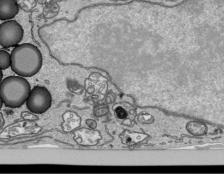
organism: Human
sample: Mitochondria in HCT116 cells